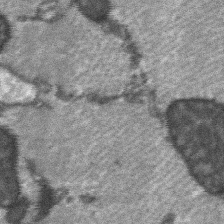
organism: C57BL Mouse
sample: Soleus